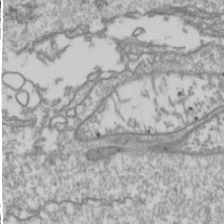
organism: Drosophila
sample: Cell division; meiosis; drosophila spermatocytes